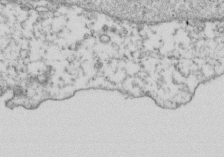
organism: Human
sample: Activated Jurkat CD4+ T cells